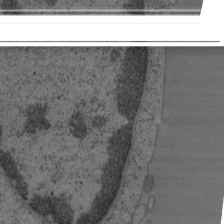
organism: Mouse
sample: OT-I killer T cells with ID8 ovarian cancer cells